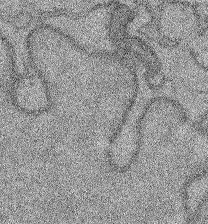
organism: Human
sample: HeLa cells